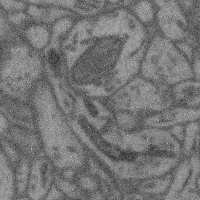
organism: Mouse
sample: Cerebral cortex